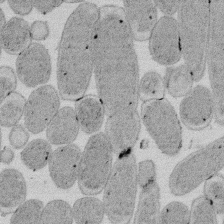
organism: E. coli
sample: Bacterial nucleoid